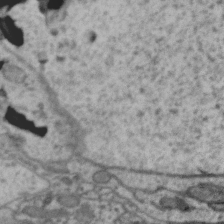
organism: Zebra finch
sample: Brain